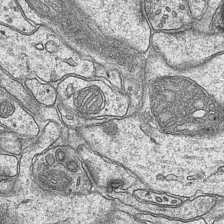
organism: Mouse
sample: CA1 Hippocampus